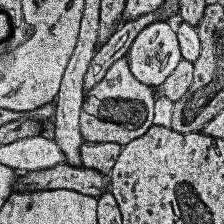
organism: Human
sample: Temporal Lobe